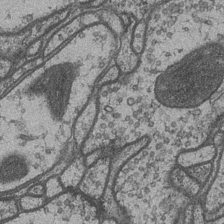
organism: Drosophila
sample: Optic medulla